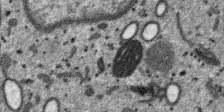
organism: Human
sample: Lung epithelial cells infected with SARS-CoV-2